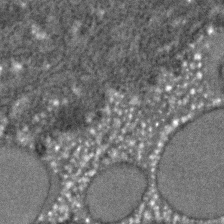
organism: C. elegans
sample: C. elegans embryo